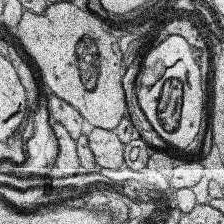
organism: Human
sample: Temporal Lobe